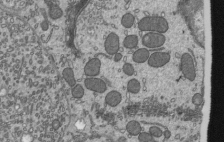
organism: Mouse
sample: Mouse epididymis efferent ductule cilia